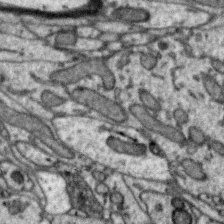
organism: Zebra finch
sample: Brain